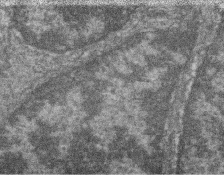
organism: Zebrafish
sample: Cilia; retinal pigment epithelium